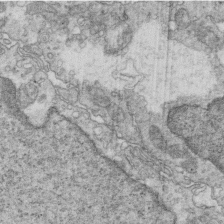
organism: Mouse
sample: Multiciliated cells